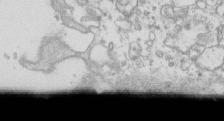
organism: Mouse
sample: Macrophages